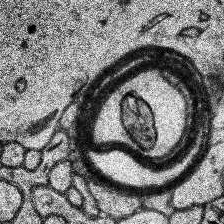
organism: Human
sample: Temporal Lobe